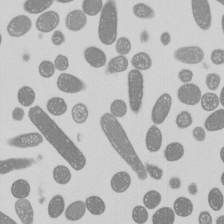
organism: E. coli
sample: Bacterial nucleoid